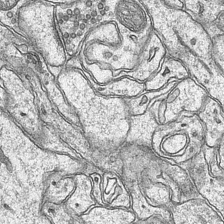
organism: Mouse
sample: CA1 Hippocampus